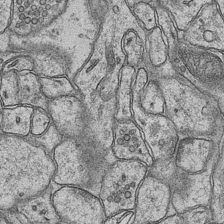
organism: Mouse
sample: CA1 Hippocampus